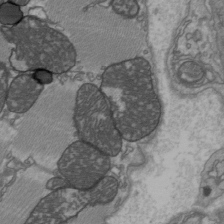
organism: C57BL Mouse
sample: Heart